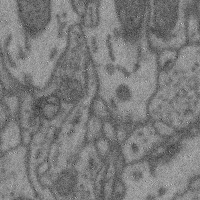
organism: Mouse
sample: Cerebral cortex